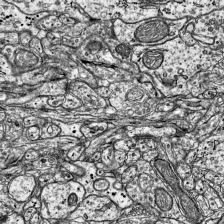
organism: Mouse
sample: Visual Cortex